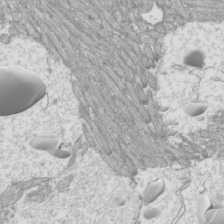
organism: Mouse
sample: Cilia; mouse epididymis